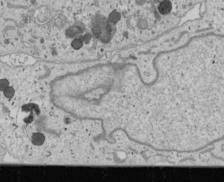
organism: Human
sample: Mitochondria in U2OS cells